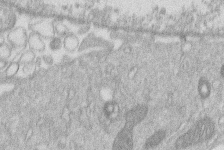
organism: Human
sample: Macrophage cells